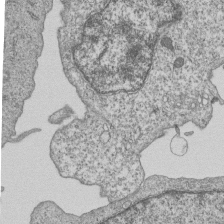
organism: Human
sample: MDA-MB-231 cells